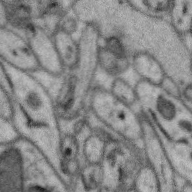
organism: Zebra finch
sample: Brain